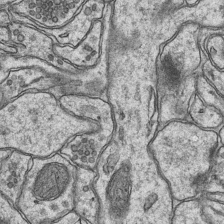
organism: Mouse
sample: CA1 Hippocampus